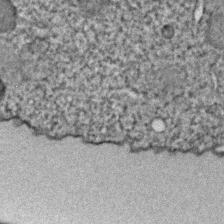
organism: C. elegans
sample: C. elegans embryo